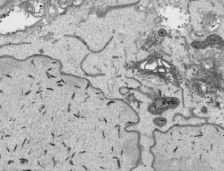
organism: Human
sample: Mitochondria in HCT116 cells